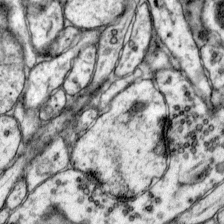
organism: Mouse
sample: Primary visual cortex